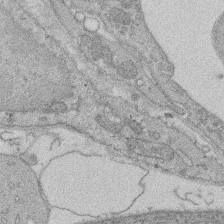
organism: Rat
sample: Salivary granule